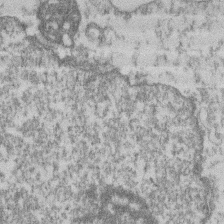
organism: Mouse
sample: T cell stromal cell synapse